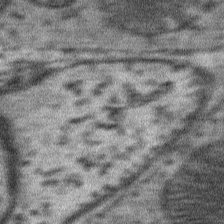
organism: Mouse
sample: Mouse Salivary gland